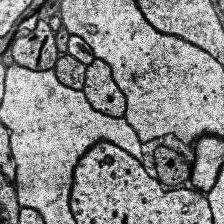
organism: Human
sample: Temporal Lobe